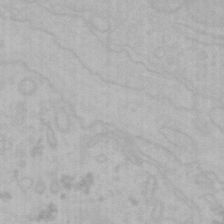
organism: Mouse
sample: Choroid plexus